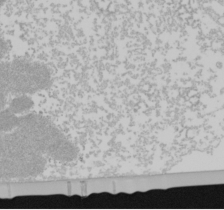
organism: Mouse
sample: Cancer cell death in ED-1 cells